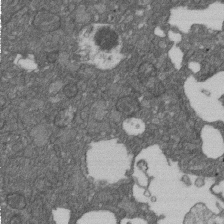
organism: Drosophila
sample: Nephrocyte